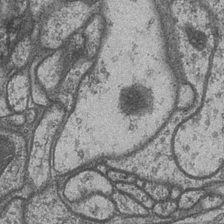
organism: Drosophila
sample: Optic medulla